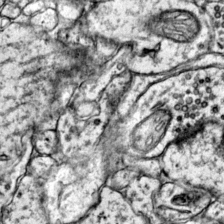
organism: Mouse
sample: Primary visual cortex